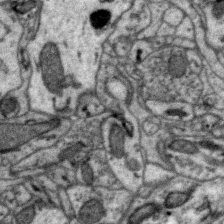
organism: Zebra finch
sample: Brain